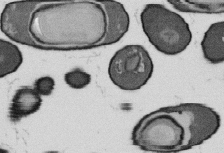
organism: B. subtilis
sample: Bacterial spore